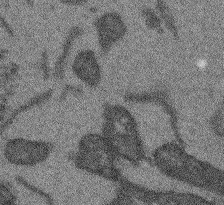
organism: Arabidopsis thaliana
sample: Root tip